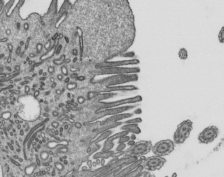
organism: Mouse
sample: Mouse epididymis efferent ductule cilia